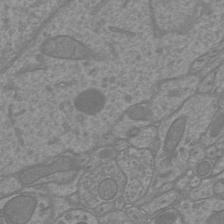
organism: Mouse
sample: Cortical neurons